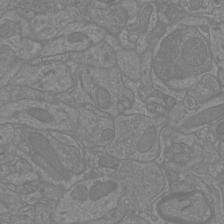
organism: Mouse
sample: Cortical neurons